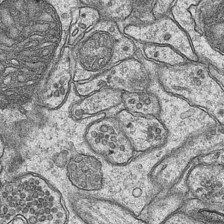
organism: Mouse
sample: CA1 Hippocampus